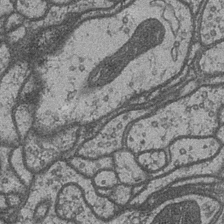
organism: Drosophila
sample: Optic medulla